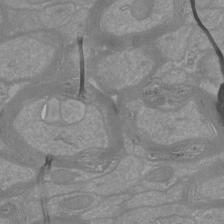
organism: Mouse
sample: Cortical neurons